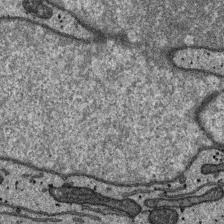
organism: Human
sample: Lung epithelial cells, uninfected (mock) control